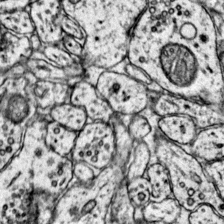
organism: Mouse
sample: Primary visual cortex